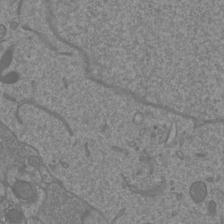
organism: Mouse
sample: Cortical neurons